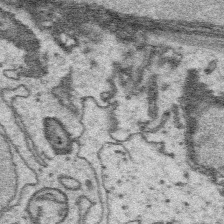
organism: Platynereis dumerilii